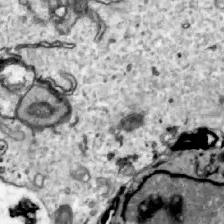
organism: Zebrafish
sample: Actinotrichia fibers